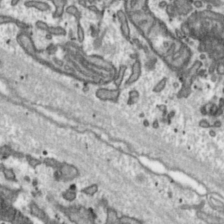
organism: Toxoplasma gondii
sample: Parasites in a vacuole inside a host cell